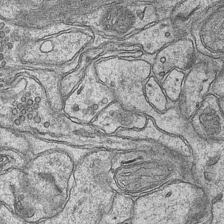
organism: Mouse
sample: CA1 Hippocampus